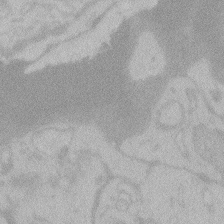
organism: Zebrafish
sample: Macrophage infected with Toxoplasma gondii